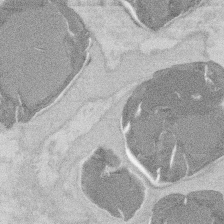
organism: Mouse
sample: T cell stromal cell synapse